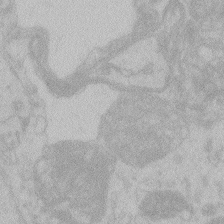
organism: Zebrafish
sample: Macrophage infected with Toxoplasma gondii